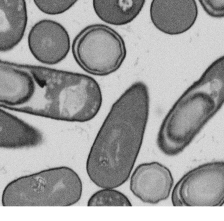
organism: B. subtilis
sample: Bacterial spore